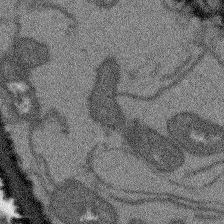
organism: Arabidopsis thaliana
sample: Root tip